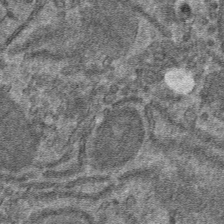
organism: Mouse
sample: Mouse hepatocytes